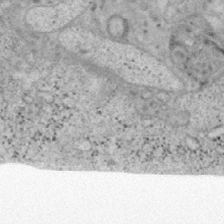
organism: Mouse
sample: OT-I killer T cells with ID8 ovarian cancer cells